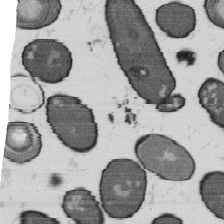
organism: B. subtilis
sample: Bacterial spore